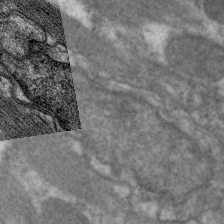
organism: C. elegans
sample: Pharynx